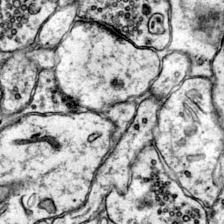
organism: Mouse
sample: Primary visual cortex